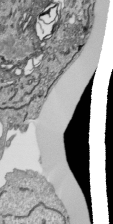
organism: Human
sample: Mitochondria in HCT116 cells